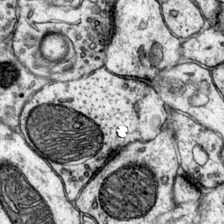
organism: Mouse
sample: Primary visual cortex